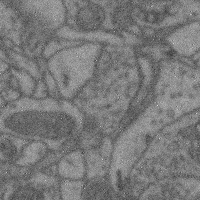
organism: Mouse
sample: Cerebral cortex